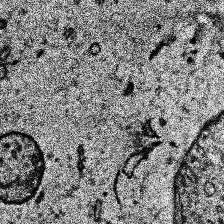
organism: Human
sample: Temporal Lobe